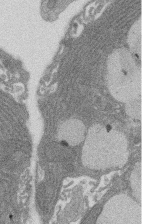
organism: Rat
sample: Salivary granule